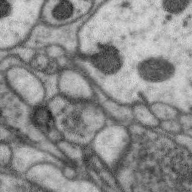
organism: Zebra finch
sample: Brain